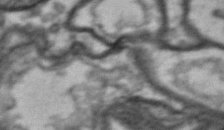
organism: Drosophila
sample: Brain